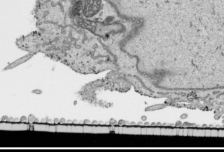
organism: Human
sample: Mitochondria in HCT116 cells